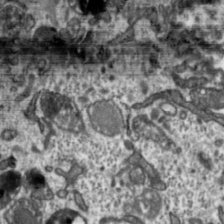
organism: Toxoplasma gondii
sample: Parasites in a vacuole inside a host cell